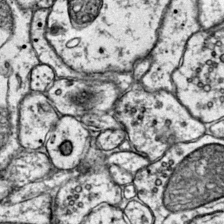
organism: Mouse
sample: Primary visual cortex